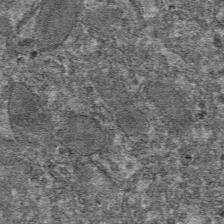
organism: Mouse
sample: Mouse hepatocytes